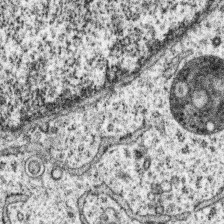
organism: Human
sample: HeLa cells